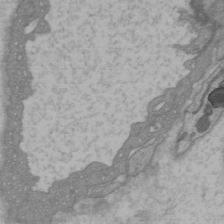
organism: C57BL Mouse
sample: Heart